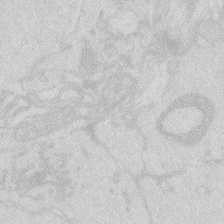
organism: Zebrafish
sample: Macrophage